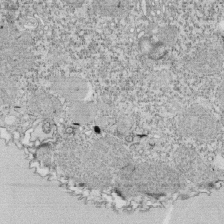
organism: Tetrahymena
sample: Cilia in tetrahymena